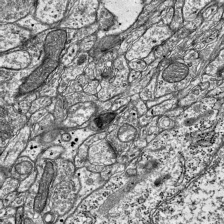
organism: Mouse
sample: Visual Cortex